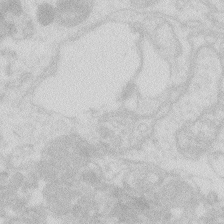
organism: Zebrafish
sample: Macrophage